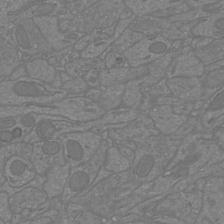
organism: Mouse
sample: Cortical neurons